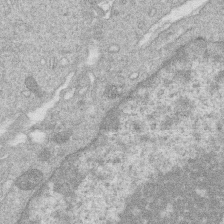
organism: Human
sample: Macrophage cells